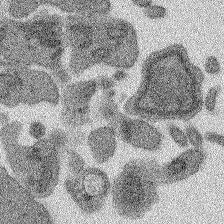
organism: Human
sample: HeLa cells